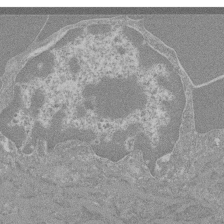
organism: Mouse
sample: Glomerulus